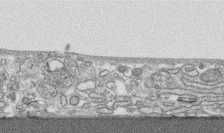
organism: Human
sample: CRL-1474